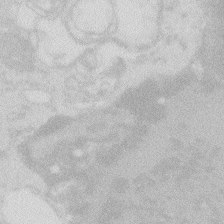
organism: Zebrafish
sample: Macrophage